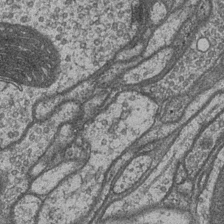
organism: Drosophila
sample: Optic medulla